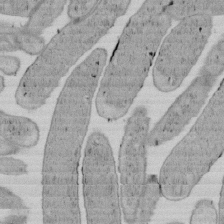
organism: E. coli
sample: Bacterial nucleoid